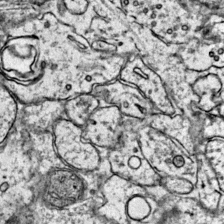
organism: Mouse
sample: Primary visual cortex